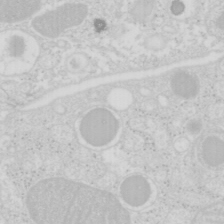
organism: Mouse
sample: Pancreas